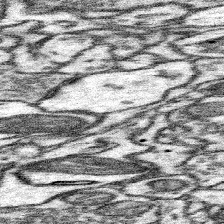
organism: Mouse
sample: Somatosensory cortex neuropil